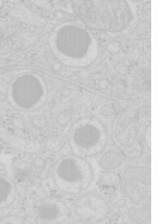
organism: Mouse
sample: Pancreas